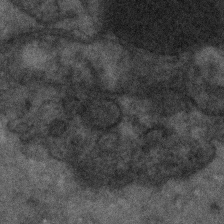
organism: Human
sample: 1205lu cells